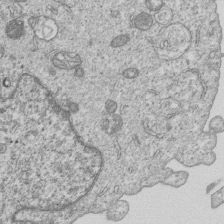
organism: Human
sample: MDA-MB-231 cells